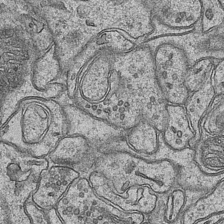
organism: Mouse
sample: CA1 Hippocampus